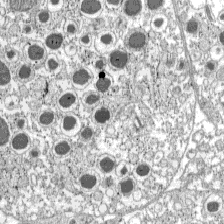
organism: C57BL Mouse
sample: Pancreatic islet